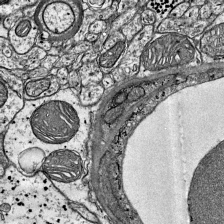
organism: Mouse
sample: Visual Cortex